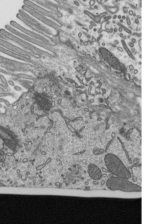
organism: Mouse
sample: Mouse epididymis efferent ductule cilia